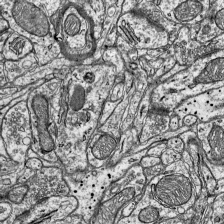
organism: Mouse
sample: Visual Cortex